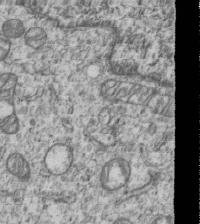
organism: Human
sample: MDA-MB-231 cells